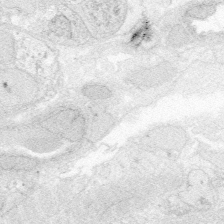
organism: Zebrafish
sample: Whole-Brain